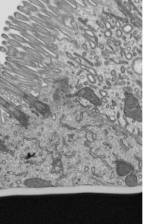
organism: Mouse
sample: Mouse epididymis efferent ductule cilia